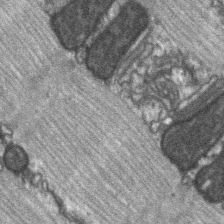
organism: C57BL Mouse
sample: Soleus